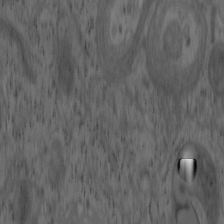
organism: Human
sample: HeLa cells